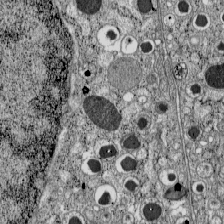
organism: C57BL Mouse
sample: Pancreatic islet